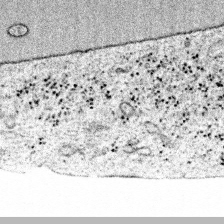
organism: Human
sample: HeLa cells